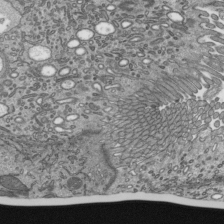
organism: Mouse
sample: Mouse epididymis efferent ductule cilia